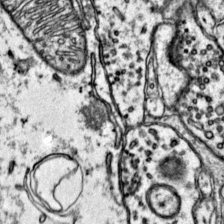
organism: Mouse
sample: Primary visual cortex